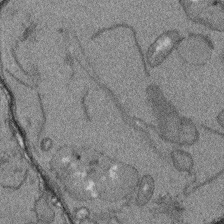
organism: Arabidopsis thaliana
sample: Root tip